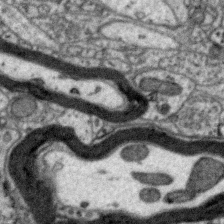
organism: Zebra finch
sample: Brain